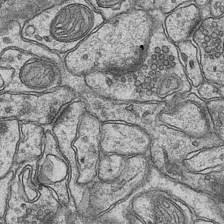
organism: Mouse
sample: CA1 Hippocampus